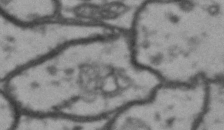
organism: Drosophila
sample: Brain